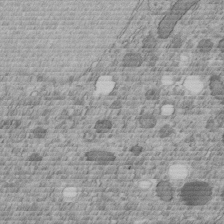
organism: C. elegans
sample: C. elegans embryo early stage